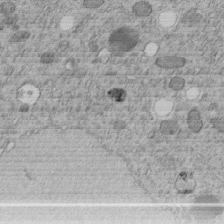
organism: C. elegans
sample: C. elegans embryo early stage